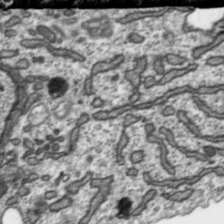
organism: Toxoplasma gondii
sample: Parasites in a vacuole inside a host cell